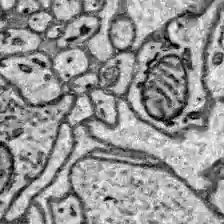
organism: Zebrafish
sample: Brain